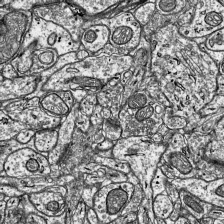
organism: Mouse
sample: Visual Cortex